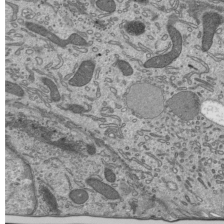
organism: Mouse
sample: Mouse epididymis efferent ductule cilia